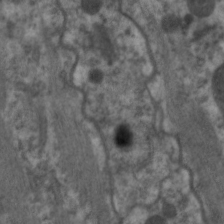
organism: C. elegans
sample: Pharynx